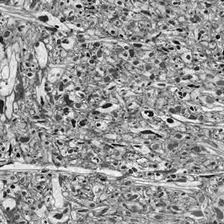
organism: Drosophila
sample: Optic lobe